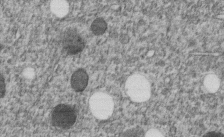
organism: C. elegans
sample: C. elegans embryo early stage